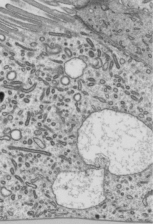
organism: Mouse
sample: Mouse epididymis efferent ductule cilia